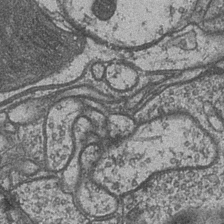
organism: Drosophila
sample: Optic medulla